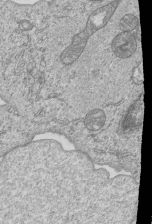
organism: Human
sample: MDA-MB-231 cells